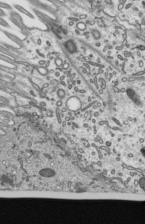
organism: Mouse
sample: Mouse epididymis efferent ductule cilia